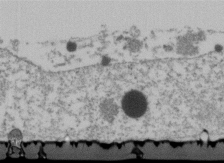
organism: Human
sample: U2-OS cells